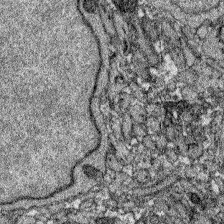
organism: Zebrafish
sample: Larval olfactory bulb